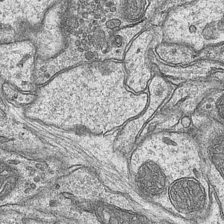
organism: Mouse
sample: CA1 Hippocampus